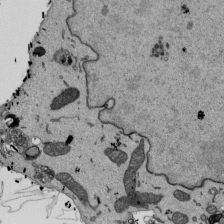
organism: Mouse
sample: ED-1 cell nuclei; centrioles